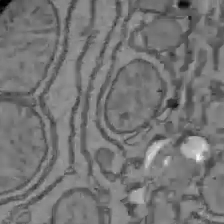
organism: C57BL Mouse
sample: Liver